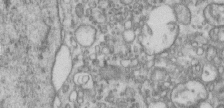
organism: Human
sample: Centriole in RPE cells